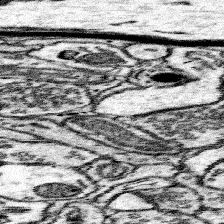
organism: Mouse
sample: Somatosensory cortex neuropil